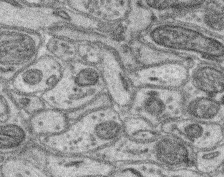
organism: Mouse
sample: Retina